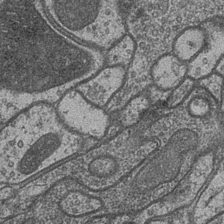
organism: Drosophila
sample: Optic medulla